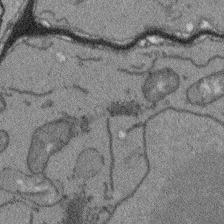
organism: Arabidopsis thaliana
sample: Root tip